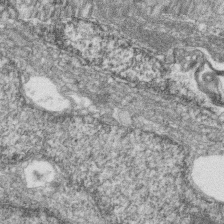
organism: Zebrafish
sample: Cilia; retinal pigment epithelium